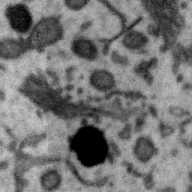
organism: Zebra finch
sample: Brain